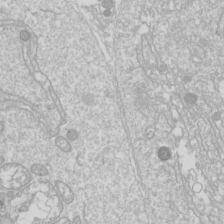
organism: Drosophila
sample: Cell division; meiosis; drosophila spermatocytes